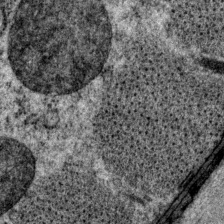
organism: P. pacificus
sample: Pharynx